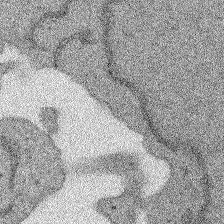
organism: Human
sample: HeLa cells